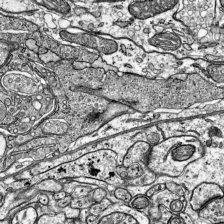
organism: Mouse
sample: Visual Cortex